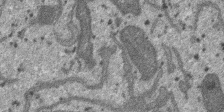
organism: Human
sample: Lung epithelial cells infected with SARS-CoV-2